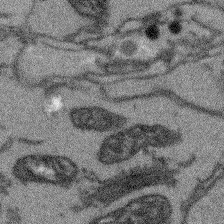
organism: Arabidopsis thaliana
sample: Root tip